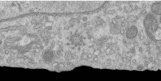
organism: Human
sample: Centriole in RPE cells